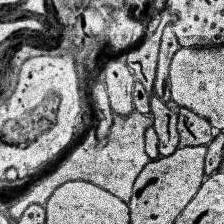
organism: Human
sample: Temporal Lobe